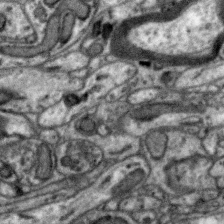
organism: Zebra finch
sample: Brain